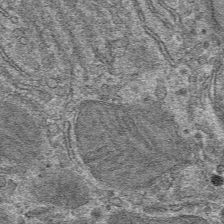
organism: Mouse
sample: Mouse hepatocytes